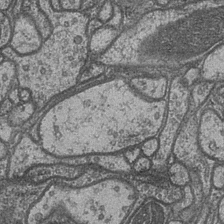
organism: Drosophila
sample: Optic medulla